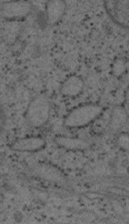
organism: Human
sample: HeLa cells